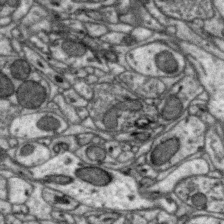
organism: Zebra finch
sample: Brain